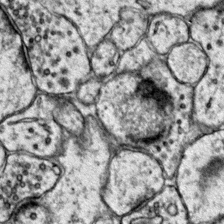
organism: Mouse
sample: Primary visual cortex